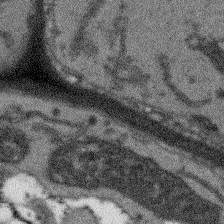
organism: Arabidopsis thaliana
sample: Root tip